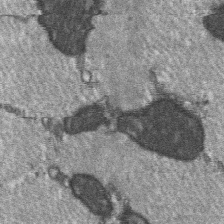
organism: C57BL Mouse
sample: Soleus